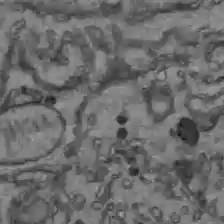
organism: C57BL Mouse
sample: Liver